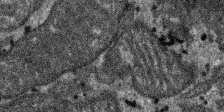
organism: Human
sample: Lung epithelial cells infected with SARS-CoV-2